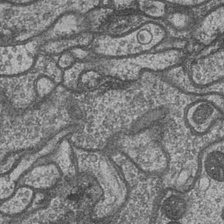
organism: Drosophila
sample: Optic medulla